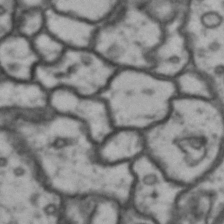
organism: Drosophila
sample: Brain